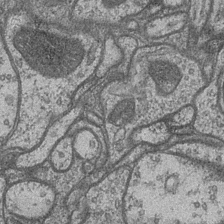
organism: Drosophila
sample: Optic medulla